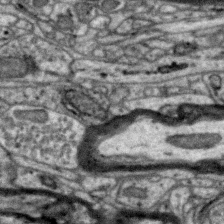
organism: Zebra finch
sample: Brain